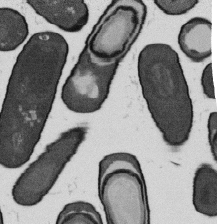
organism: B. subtilis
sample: Bacterial spore